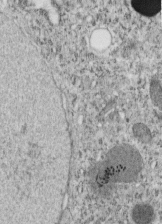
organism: C. elegans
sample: C. elegans embryo early stage